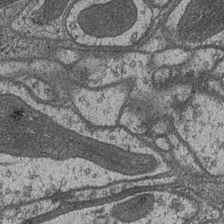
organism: Drosophila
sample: Optic medulla